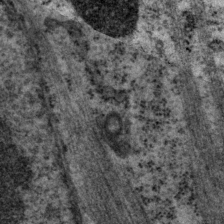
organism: P. pacificus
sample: Pharynx